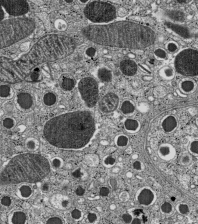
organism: C57BL Mouse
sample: Pancreatic islet